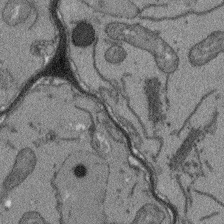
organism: Arabidopsis thaliana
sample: Root tip